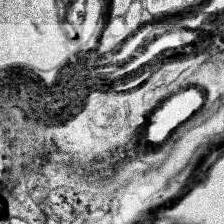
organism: Human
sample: Temporal Lobe